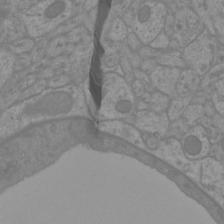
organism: Mouse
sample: Cortical neurons